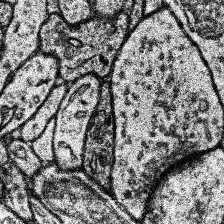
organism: Human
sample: Temporal Lobe